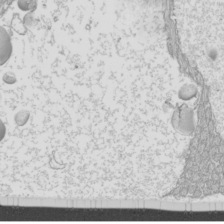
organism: Mouse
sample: Cilia; mouse epididymis